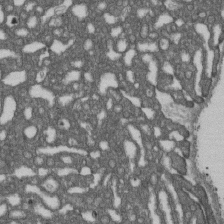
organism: Drosophila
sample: Nephrocyte